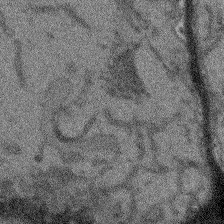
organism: Arabidopsis thaliana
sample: Root tip